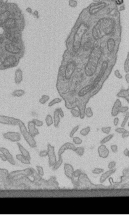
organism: Human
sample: Retinal organoid Rod and Cone cells